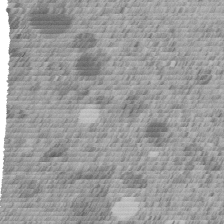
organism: C. elegans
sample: C. elegans embryo early stage